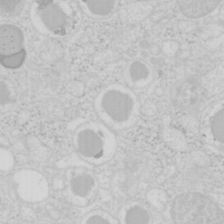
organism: Mouse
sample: Pancreas